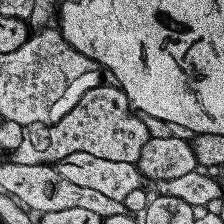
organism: Human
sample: Temporal Lobe